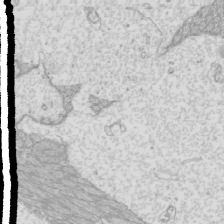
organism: Mouse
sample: Cilia; mouse epididymis